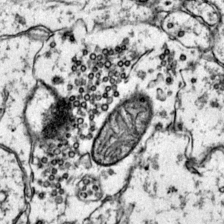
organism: Mouse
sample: Primary visual cortex